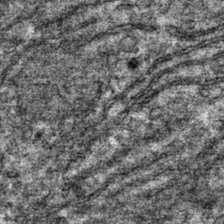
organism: Mouse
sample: Mouse hepatocytes